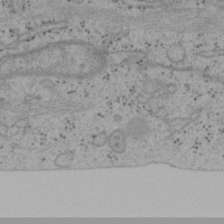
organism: Human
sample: HeLa cells